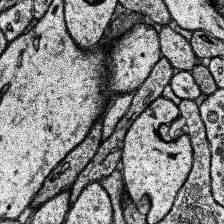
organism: Human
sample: Temporal Lobe